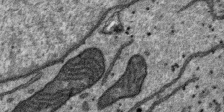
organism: Human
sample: Lung epithelial cells, uninfected (mock) control